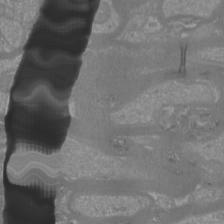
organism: Mouse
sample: Cortical neurons